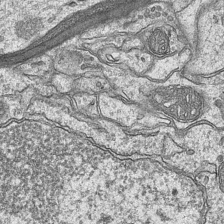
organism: Mouse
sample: CA1 Hippocampus